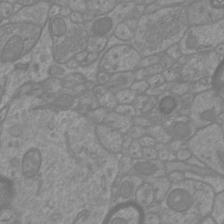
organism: Mouse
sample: Cortical neurons